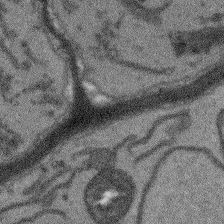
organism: Arabidopsis thaliana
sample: Root tip